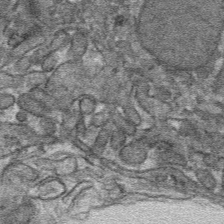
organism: Mouse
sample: Mouse hepatocytes